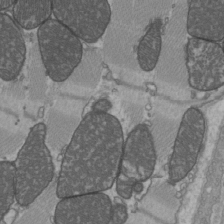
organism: C57BL Mouse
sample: Heart